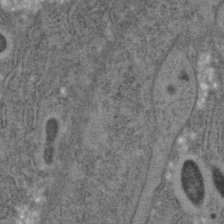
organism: C. elegans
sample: C. elegans embryo